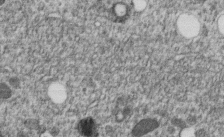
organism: C. elegans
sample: C. elegans embryo early stage